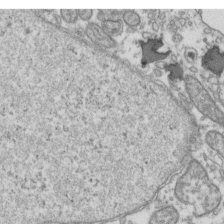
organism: Human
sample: Activated Jurkat CD4+ T cells